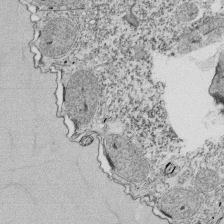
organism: Tetrahymena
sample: Cilia in tetrahymena